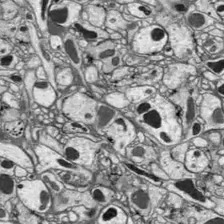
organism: Drosophila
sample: Optic lobe